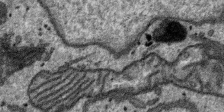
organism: Human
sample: Lung epithelial cells, uninfected (mock) control